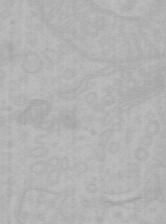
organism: Mouse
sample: Choroid plexus